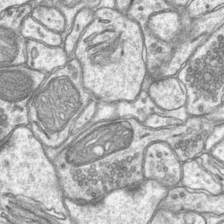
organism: Mouse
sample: CA1 Hippocampus